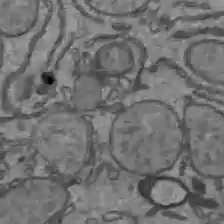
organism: C57BL Mouse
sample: Liver